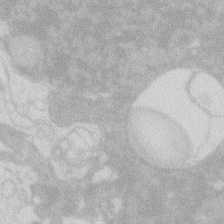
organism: Zebrafish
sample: Macrophage